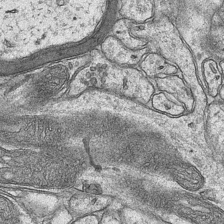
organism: Mouse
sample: CA1 Hippocampus